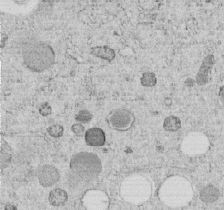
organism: C. elegans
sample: C. elegans embryo early stage